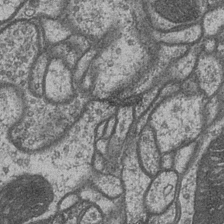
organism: Drosophila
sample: Optic medulla